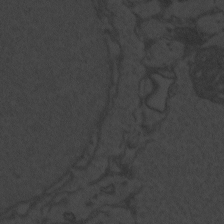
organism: Zebrafish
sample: Macrophage infected with Toxoplasma gondii